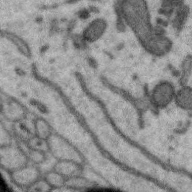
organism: Zebra finch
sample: Brain